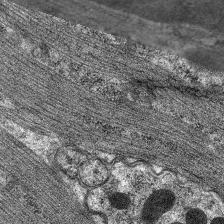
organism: C. elegans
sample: Pharynx